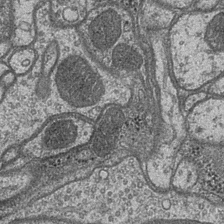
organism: Drosophila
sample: Optic medulla